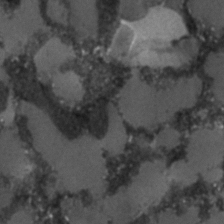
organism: C. elegans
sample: C. elegans embryo